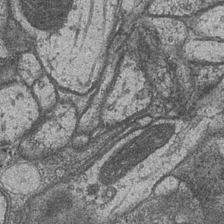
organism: Drosophila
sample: Optic medulla